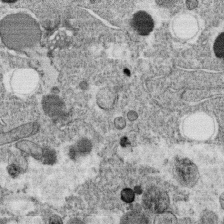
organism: C. elegans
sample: C. elegans oocyte; sperm cells